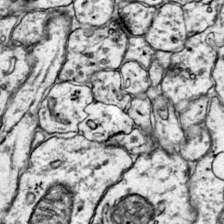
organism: Mouse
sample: Primary visual cortex